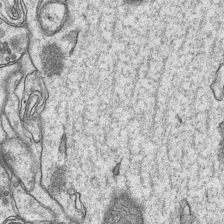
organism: Mouse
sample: CA1 Hippocampus